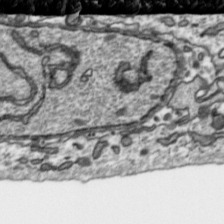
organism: Toxoplasma gondii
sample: Parasites in a vacuole inside a host cell